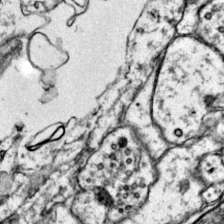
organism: Mouse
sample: Primary visual cortex